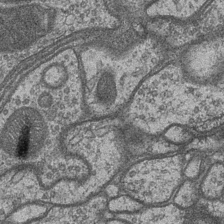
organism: Drosophila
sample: Optic medulla